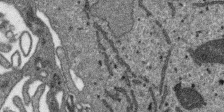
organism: Human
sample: Lung epithelial cells infected with SARS-CoV-2